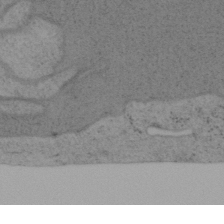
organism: Mouse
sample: OT-I killer T cells with ID8 ovarian cancer cells